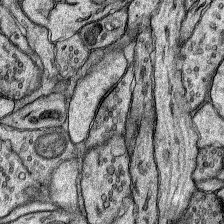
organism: Rat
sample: Hippocampus